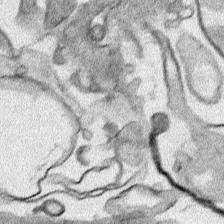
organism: Human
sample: Mitochondria in HCT116 cells